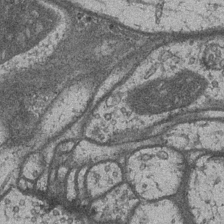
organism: Drosophila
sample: Optic medulla